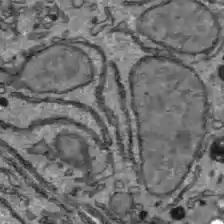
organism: C57BL Mouse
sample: Liver